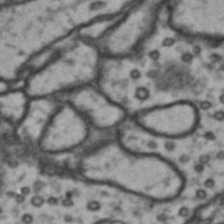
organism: Drosophila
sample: Brain